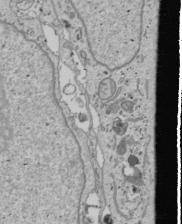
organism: Human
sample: Mitochondria in U2OS cells